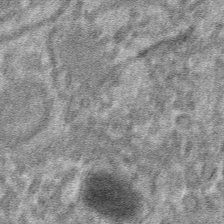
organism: Mouse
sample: Mouse hepatocytes